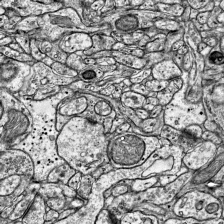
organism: Mouse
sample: Visual Cortex